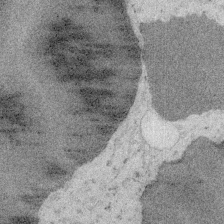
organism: Embia sp.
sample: Silk gland